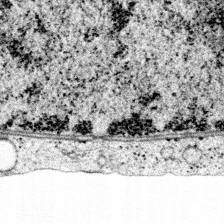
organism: Human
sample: HeLa cells